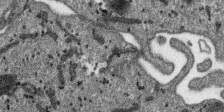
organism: Human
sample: Lung epithelial cells infected with SARS-CoV-2